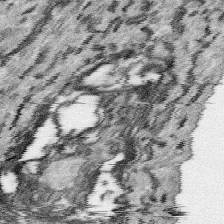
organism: Human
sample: HeLa cells